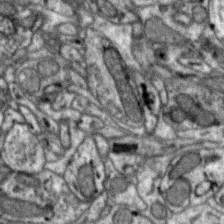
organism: Zebra finch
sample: Brain